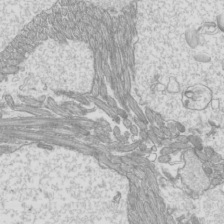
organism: Mouse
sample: Cilia; mouse epididymis